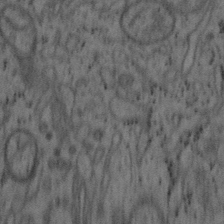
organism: Human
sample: HeLa cells